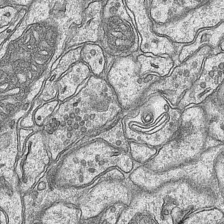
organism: Mouse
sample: CA1 Hippocampus